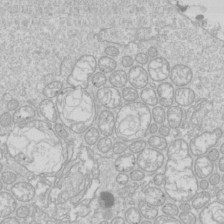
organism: Drosophila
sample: Cell division; meiosis; drosophila spermatocytes